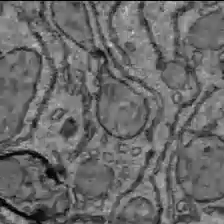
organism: C57BL Mouse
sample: Liver